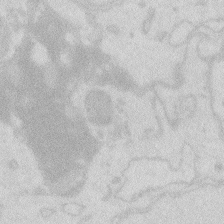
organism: Zebrafish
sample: Macrophage